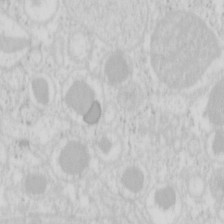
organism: Mouse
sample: Pancreas